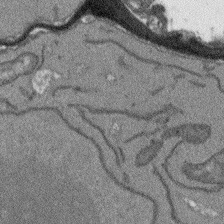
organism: Arabidopsis thaliana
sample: Root tip